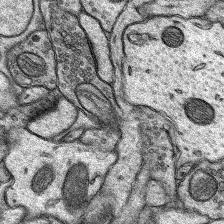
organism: Rat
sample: Hippocampus